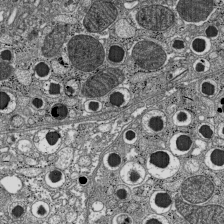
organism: C57BL Mouse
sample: Pancreatic islet